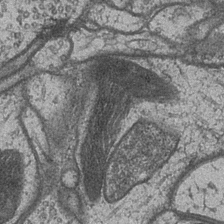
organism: Drosophila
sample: Optic medulla